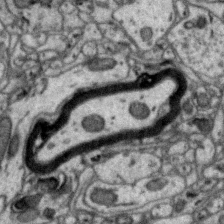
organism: Zebra finch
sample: Brain